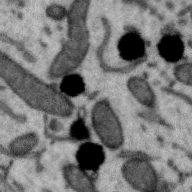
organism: Zebra finch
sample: Brain